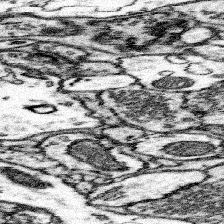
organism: Mouse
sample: Somatosensory cortex neuropil